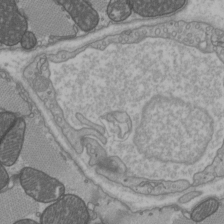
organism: C57BL Mouse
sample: Heart